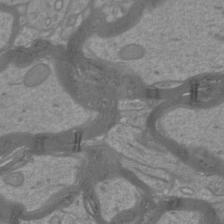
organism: Mouse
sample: Cortical neurons